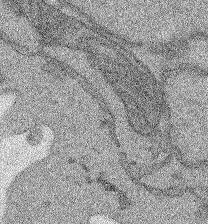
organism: Human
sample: HeLa cells